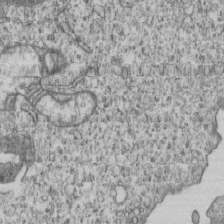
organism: Human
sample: MDA-MB-231 cells